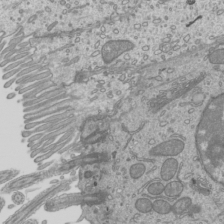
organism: Mouse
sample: Cilia; mouse epididymis